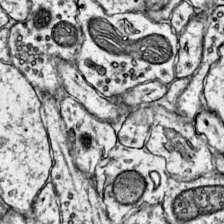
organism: Mouse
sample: Primary visual cortex